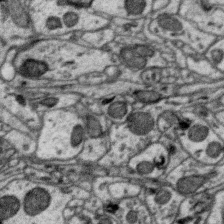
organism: Zebra finch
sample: Brain